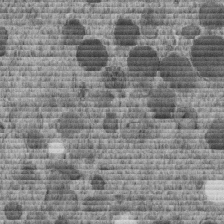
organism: C. elegans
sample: C. elegans embryo early stage